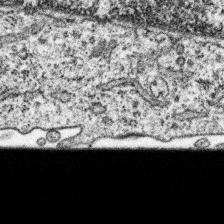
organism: Human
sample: HeLa cells